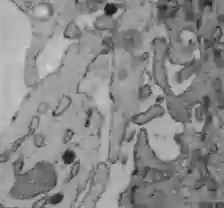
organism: C57BL Mouse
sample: Liver